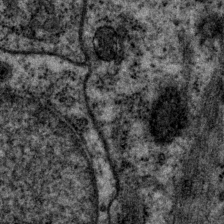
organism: P. pacificus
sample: Pharynx